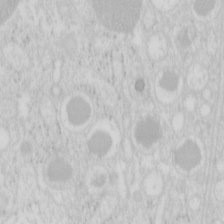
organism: Mouse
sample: Pancreas